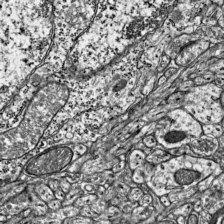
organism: Mouse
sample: Visual Cortex